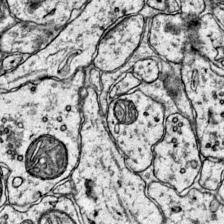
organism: Mouse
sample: Primary visual cortex